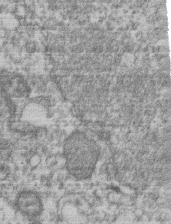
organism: Mouse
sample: T cell stromal cell synapse